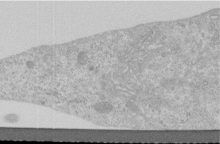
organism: Human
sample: Centriole in RPE cells